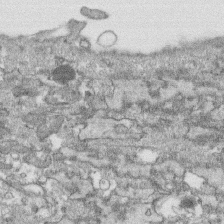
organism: Human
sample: CRL-1474